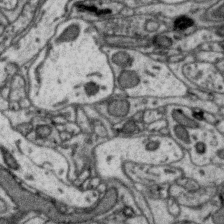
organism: Zebra finch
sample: Brain